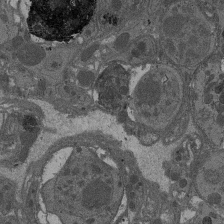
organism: Drosophila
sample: Antenna